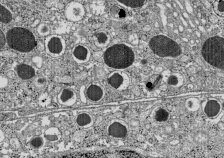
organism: C57BL Mouse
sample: Pancreatic islet